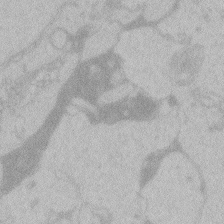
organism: Zebrafish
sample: Macrophage infected with Toxoplasma gondii